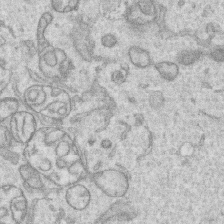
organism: Human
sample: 1205lu cells